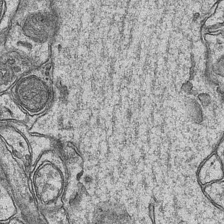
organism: Mouse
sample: CA1 Hippocampus